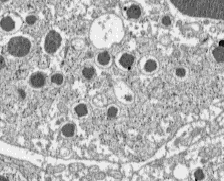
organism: C57BL Mouse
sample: Pancreatic islet